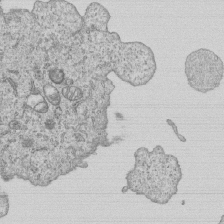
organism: Human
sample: MDA-MB-231 cells